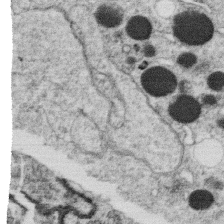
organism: C. elegans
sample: C. elegans oocyte; sperm cells